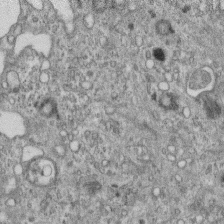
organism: Mouse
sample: Centriole in ependymal cells